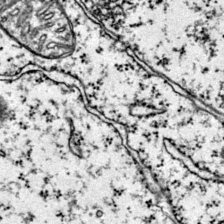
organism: Mouse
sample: Primary visual cortex